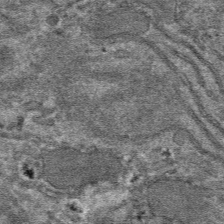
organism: Mouse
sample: Mouse hepatocytes